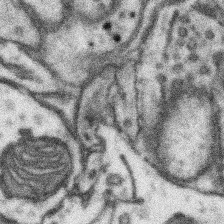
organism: Mouse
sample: Somatosensory cortex neuropil